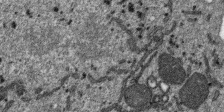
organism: Human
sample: Lung epithelial cells infected with SARS-CoV-2